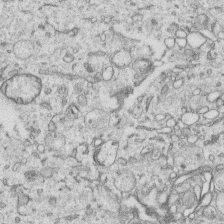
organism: Human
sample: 1205lu cells